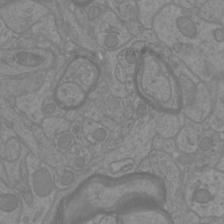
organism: Mouse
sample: Cortical neurons